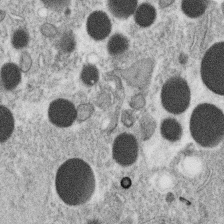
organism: C. elegans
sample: C. elegans oocyte; sperm cells